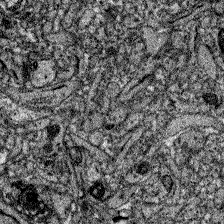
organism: Zebrafish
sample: Larval olfactory bulb